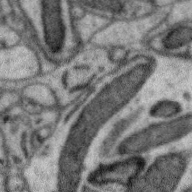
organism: Zebra finch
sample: Brain